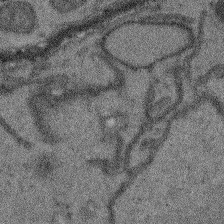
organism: Arabidopsis thaliana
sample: Root tip